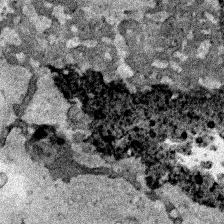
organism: Human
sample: Mitochondria in HCT116 cells